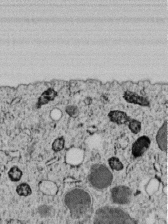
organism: C. elegans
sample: C. elegans embryo early stage